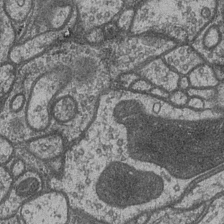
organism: Drosophila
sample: Optic medulla